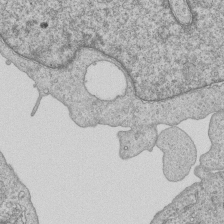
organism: Human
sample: MDA-MB-231 cells